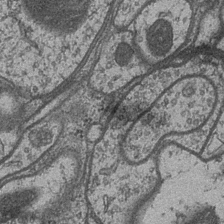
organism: Drosophila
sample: Optic medulla